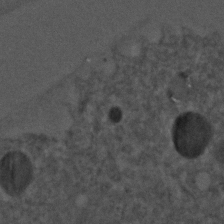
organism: C. elegans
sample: C. elegans embryo